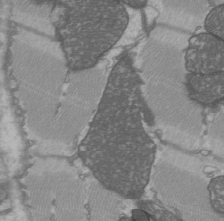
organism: C57BL Mouse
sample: Heart